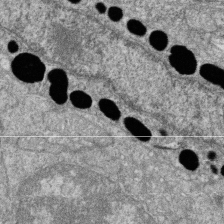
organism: Zebrafish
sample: Cilia; retinal pigment epithelium